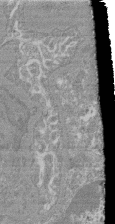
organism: Mouse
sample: Glomerulus